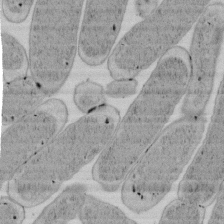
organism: E. coli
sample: Bacterial nucleoid